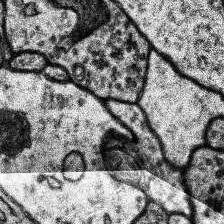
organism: Human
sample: Temporal Lobe